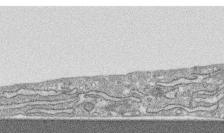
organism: Human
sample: CRL-1474